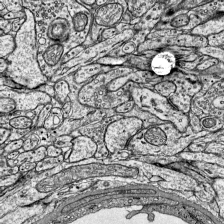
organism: Mouse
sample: Visual Cortex